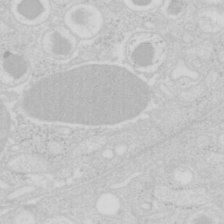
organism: Mouse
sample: Pancreas